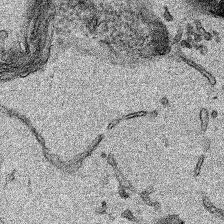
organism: Human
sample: Mitochondria in HCT116 cells